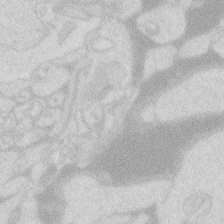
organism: Zebrafish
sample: Macrophage